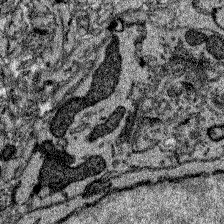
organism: Zebrafish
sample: Larval olfactory bulb